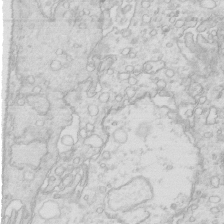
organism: Mouse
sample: Multiciliated cells